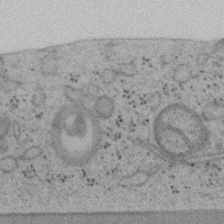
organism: Human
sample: HeLa cells